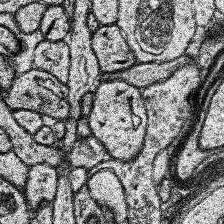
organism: Human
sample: Temporal Lobe